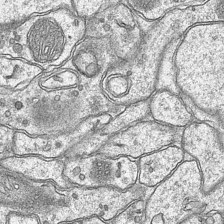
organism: Mouse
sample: CA1 Hippocampus